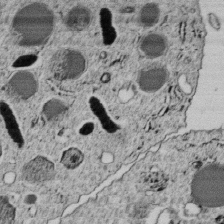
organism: C. elegans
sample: C. elegans embryo early stage